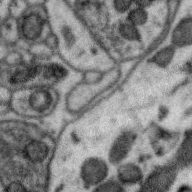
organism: Zebra finch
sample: Brain